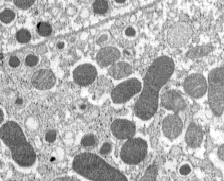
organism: C57BL Mouse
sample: Pancreatic islet